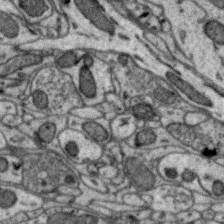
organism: Zebra finch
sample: Brain